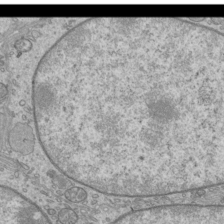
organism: Mouse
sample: Cilia; mouse epididymis